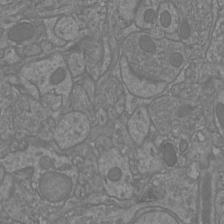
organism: Mouse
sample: Cortical neurons